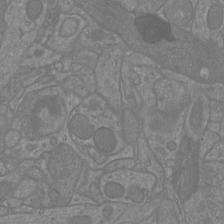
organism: Mouse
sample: Cortical neurons